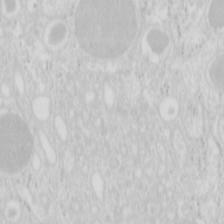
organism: Mouse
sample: Pancreas